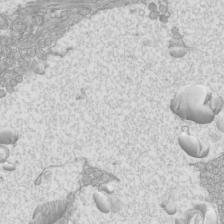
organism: Mouse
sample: Cilia; mouse epididymis